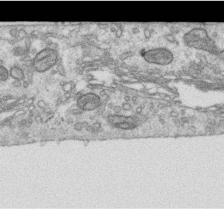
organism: Human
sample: Centriole in RPE cells